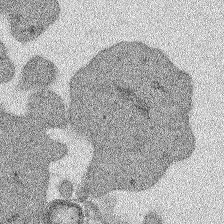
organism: Human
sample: HeLa cells